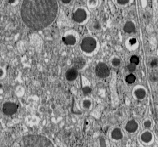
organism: C57BL Mouse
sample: Pancreatic islet